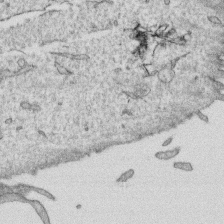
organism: Human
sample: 1205lu cells